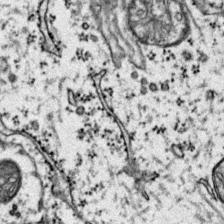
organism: Mouse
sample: Primary visual cortex